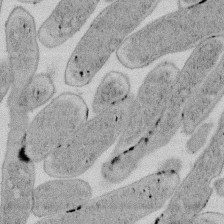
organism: E. coli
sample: Bacterial nucleoid